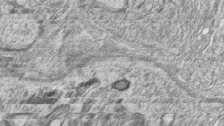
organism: Zebrafish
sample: synaptic ribbons in rod cells and cone cells